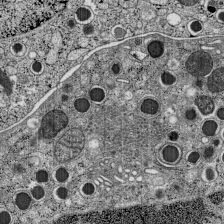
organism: C57BL Mouse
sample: Pancreatic islet